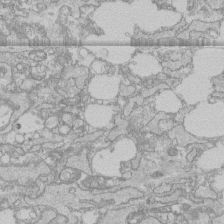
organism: Human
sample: CRL-1474